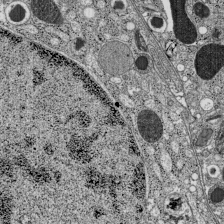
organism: C57BL Mouse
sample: Pancreatic islet